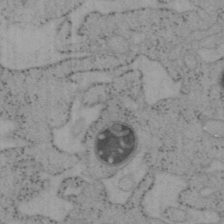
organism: Mouse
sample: OT-I killer T cells with ID8 ovarian cancer cells